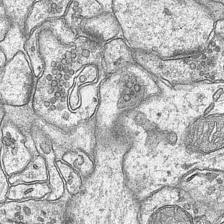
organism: Mouse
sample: CA1 Hippocampus